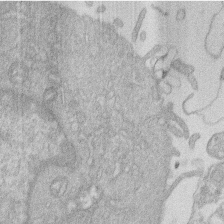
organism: Human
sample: Macrophage cells